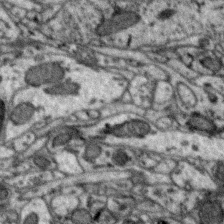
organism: Zebra finch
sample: Brain